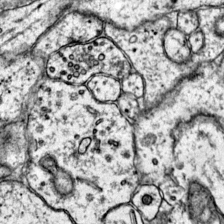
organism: Mouse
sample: Primary visual cortex